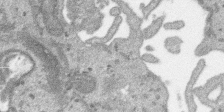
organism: Human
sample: Lung epithelial cells infected with SARS-CoV-2